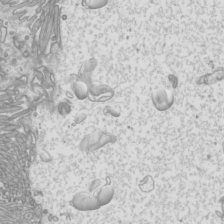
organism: Mouse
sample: Cilia; mouse epididymis